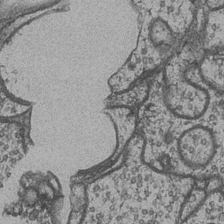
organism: Drosophila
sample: Optic medulla